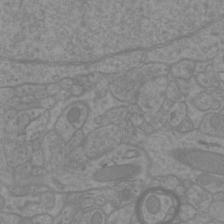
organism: Mouse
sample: Cortical neurons